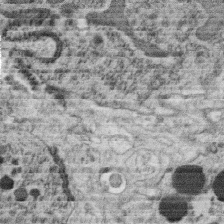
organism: C. elegans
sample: C. elegans oocyte; sperm cells